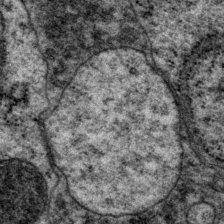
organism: P. pacificus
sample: Pharynx